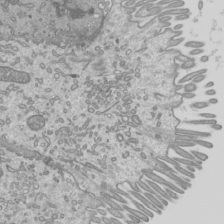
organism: Mouse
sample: Cilia; mouse epididymis